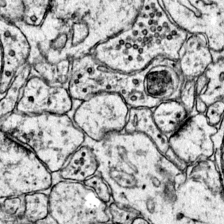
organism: Mouse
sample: Primary visual cortex